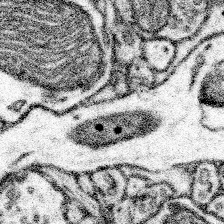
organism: Mouse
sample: Somatosensory cortex neuropil